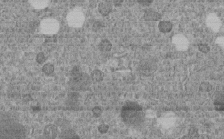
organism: C. elegans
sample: C. elegans embryo early stage